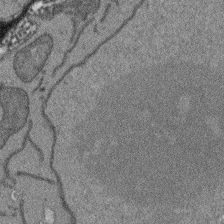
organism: Arabidopsis thaliana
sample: Root tip